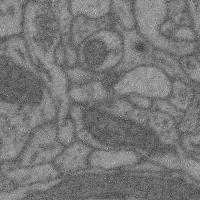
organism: Mouse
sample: Cerebral cortex